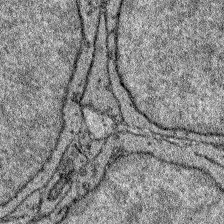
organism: Zebrafish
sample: Larval olfactory bulb